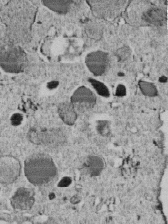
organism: C. elegans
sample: C. elegans embryo early stage